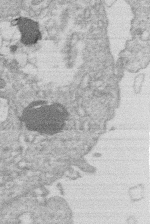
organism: Human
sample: Macrophage cells